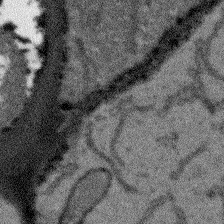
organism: Arabidopsis thaliana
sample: Root tip